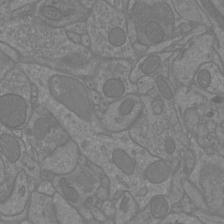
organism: Mouse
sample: Cortical neurons